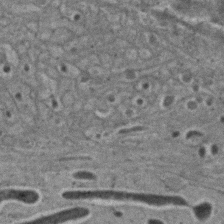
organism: C. elegans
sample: C. elegans embryo